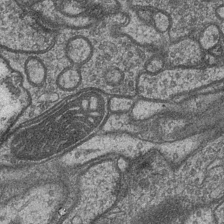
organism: Drosophila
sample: Optic medulla